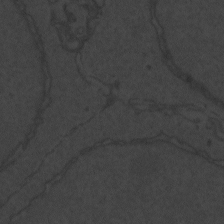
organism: Zebrafish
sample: Macrophage infected with Toxoplasma gondii